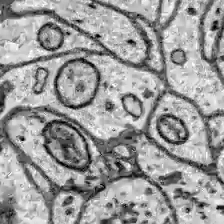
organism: Zebrafish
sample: Brain